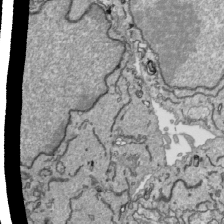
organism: Human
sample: Mitochondria in HCT116 cells